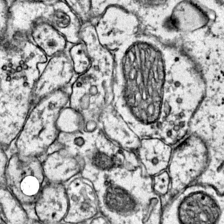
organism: Mouse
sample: Primary visual cortex